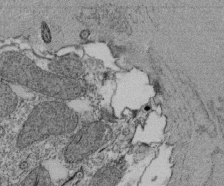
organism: Tetrahymena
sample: Cilia in tetrahymena